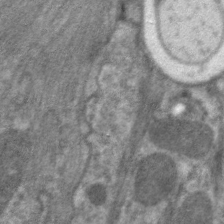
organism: C. elegans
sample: Pharynx